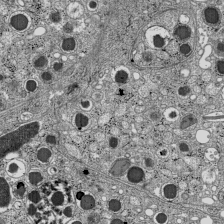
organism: C57BL Mouse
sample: Pancreatic islet